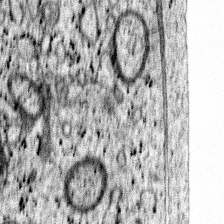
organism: Human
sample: HeLa cells